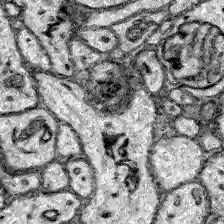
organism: Zebrafish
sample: Brain